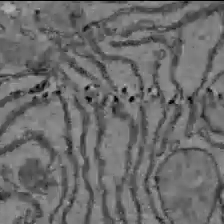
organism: C57BL Mouse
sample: Liver